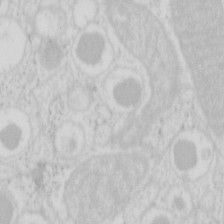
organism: Mouse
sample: Pancreas